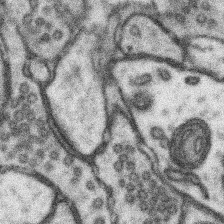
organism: Mouse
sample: Somatosensory cortex neuropil